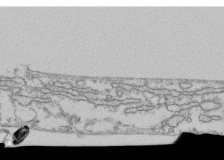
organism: Human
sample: Fibroblast cells